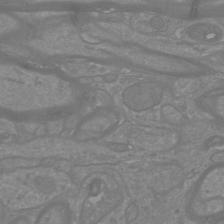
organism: Mouse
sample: Cortical neurons